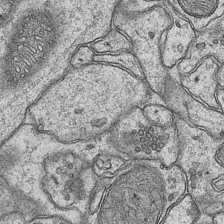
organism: Mouse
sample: CA1 Hippocampus